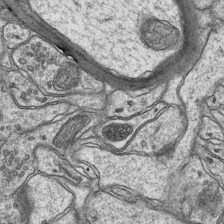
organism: Mouse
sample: CA1 Hippocampus